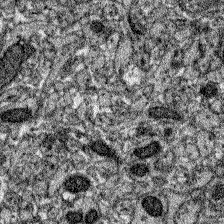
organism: Zebrafish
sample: Larval olfactory bulb